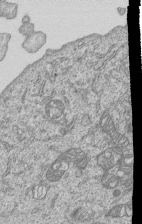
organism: Human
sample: MDA-MB-231 cells